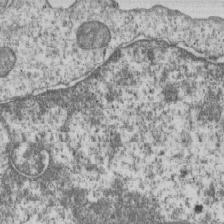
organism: Human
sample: MDA-MB-231 cells